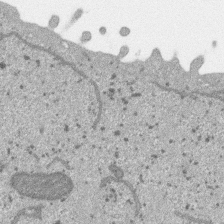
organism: Human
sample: Lung epithelial cells infected with SARS-CoV-2